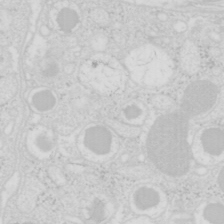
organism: Mouse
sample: Pancreas